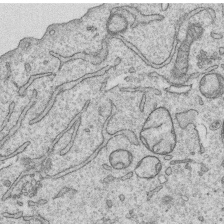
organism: Human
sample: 1205lu cells